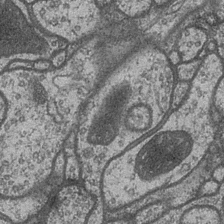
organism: Drosophila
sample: Optic medulla